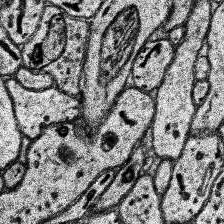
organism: Human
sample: Temporal Lobe